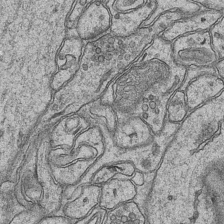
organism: Mouse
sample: CA1 Hippocampus